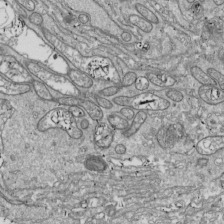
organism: Drosophila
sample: Cell division; meiosis; drosophila spermatocytes